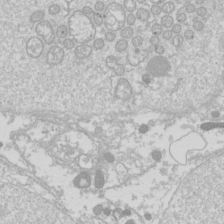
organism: Drosophila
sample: Cell division; meiosis; drosophila spermatocytes